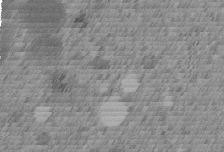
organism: C. elegans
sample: C. elegans embryo early stage